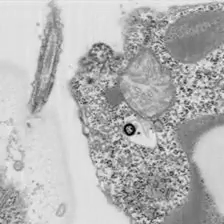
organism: Chlamydomonas reinhardtii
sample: Whole Cell